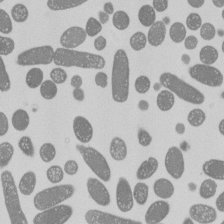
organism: E. coli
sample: Bacterial nucleoid